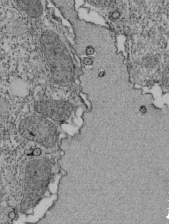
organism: Tetrahymena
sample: Cilia in tetrahymena